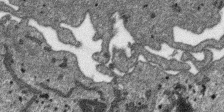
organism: Human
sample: Lung epithelial cells infected with SARS-CoV-2